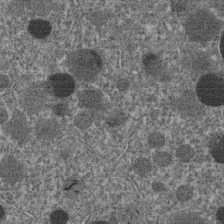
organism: C. elegans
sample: C. elegans embryo early stage